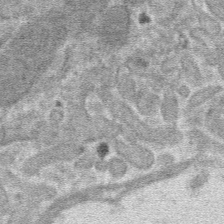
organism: Mouse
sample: Mouse hepatocytes